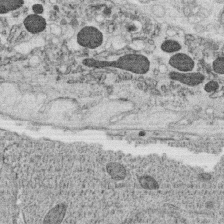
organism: C. elegans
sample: C. elegans oocyte; sperm cells